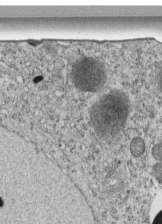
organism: C. elegans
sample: C. elegans embryo early stage